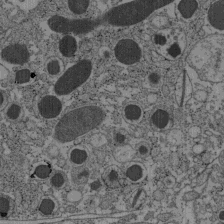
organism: C57BL Mouse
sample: Pancreatic islet